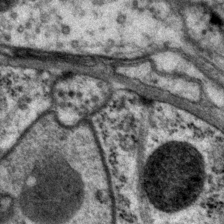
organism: P. pacificus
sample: Pharynx